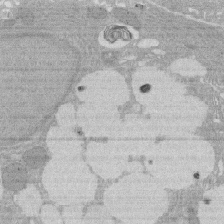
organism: Rat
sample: Salivary granule